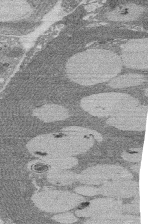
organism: Rat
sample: Salivary granule